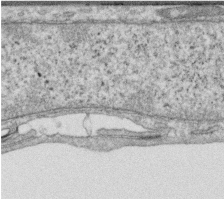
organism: Human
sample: Centriole in RPE cells